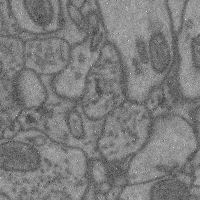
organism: Mouse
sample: Cerebral cortex